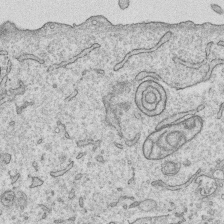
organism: Human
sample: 1205lu cells